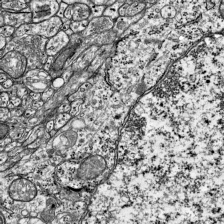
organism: Mouse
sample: Visual Cortex